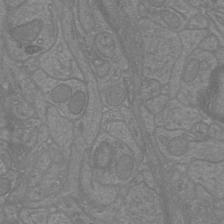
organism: Mouse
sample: Cortical neurons